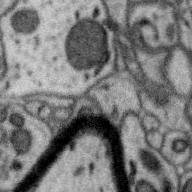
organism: Zebra finch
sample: Brain